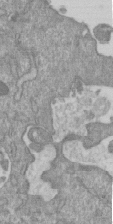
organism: Mouse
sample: ED-1 cell nuclei; centrioles